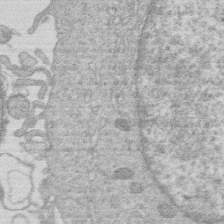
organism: Human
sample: Macrophage cells